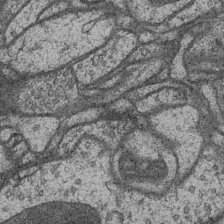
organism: Drosophila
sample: Optic medulla